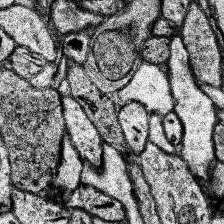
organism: Human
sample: Temporal Lobe